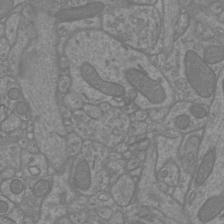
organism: Mouse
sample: Cortical neurons